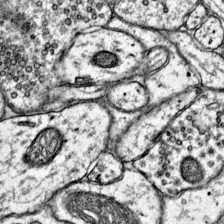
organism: Mouse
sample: Primary visual cortex